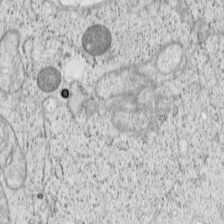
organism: African green monkey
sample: COS-7 cells